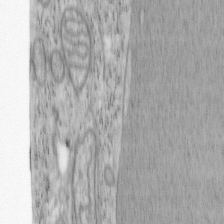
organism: Human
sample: HeLa cells